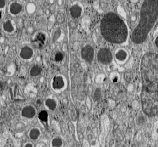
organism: C57BL Mouse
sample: Pancreatic islet